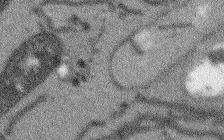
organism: Arabidopsis thaliana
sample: Root tip